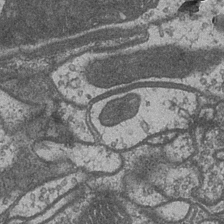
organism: Drosophila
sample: Optic medulla